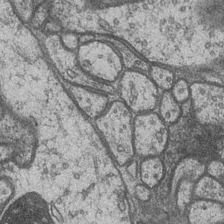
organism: Drosophila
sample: Optic medulla